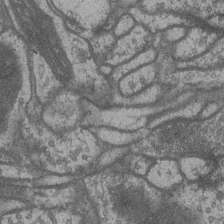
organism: Drosophila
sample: Optic medulla